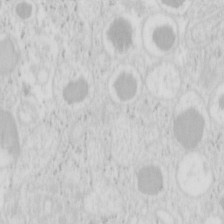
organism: Mouse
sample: Pancreas